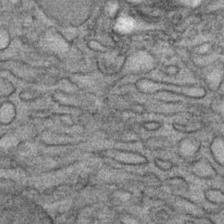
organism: Mouse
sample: Mouse Salivary gland